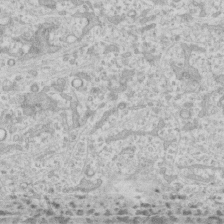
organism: Human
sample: CRL-1474